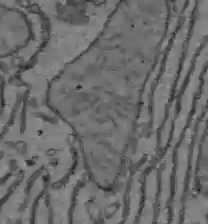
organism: C57BL Mouse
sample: Liver